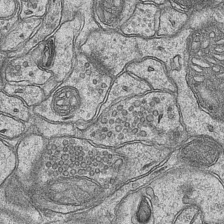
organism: Mouse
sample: CA1 Hippocampus